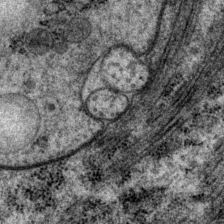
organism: P. pacificus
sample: Pharynx